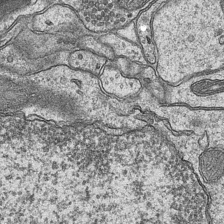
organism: Mouse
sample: CA1 Hippocampus